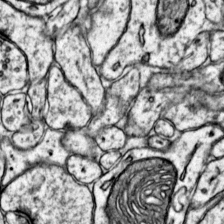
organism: Mouse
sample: Primary visual cortex